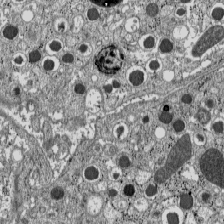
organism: C57BL Mouse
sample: Pancreatic islet